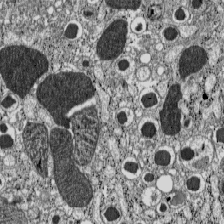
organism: C57BL Mouse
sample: Pancreatic islet